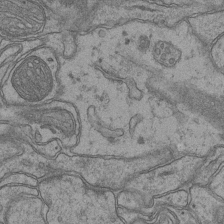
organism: Mouse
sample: CA1 Hippocampus